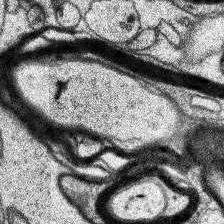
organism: Human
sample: Temporal Lobe